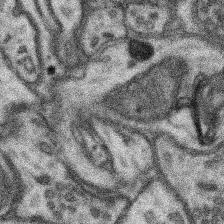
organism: Mouse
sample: Somatosensory cortex neuropil